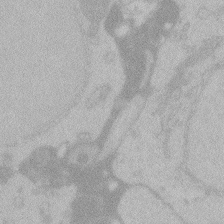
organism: Zebrafish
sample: Macrophage infected with Toxoplasma gondii